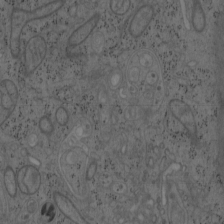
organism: Mouse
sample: OT-I killer T cells with ID8 ovarian cancer cells